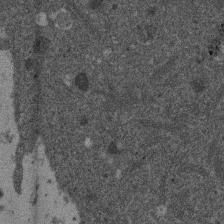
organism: Mouse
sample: Dividing mouse embryo 1 cell stage